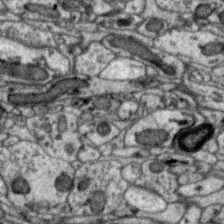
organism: Zebra finch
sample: Brain